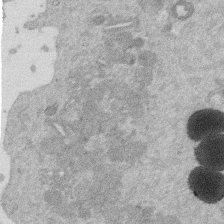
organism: Mouse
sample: Dividing mouse embryo 1 cell stage